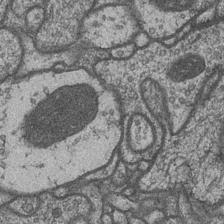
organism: Drosophila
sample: Optic medulla